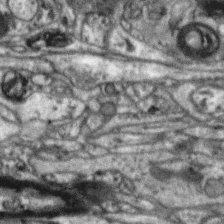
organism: Zebra finch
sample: Brain